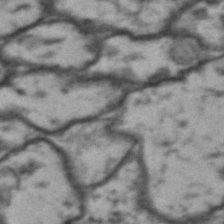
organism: Drosophila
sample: Brain